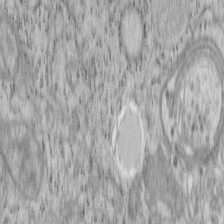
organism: Human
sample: HeLa cells